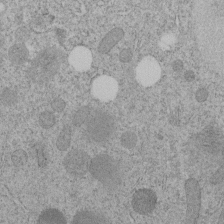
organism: C. elegans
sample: C. elegans embryo early stage